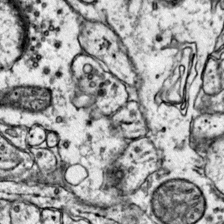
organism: Mouse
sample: Primary visual cortex